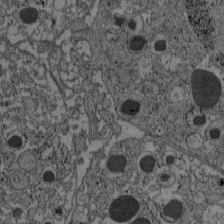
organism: C57BL Mouse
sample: Pancreatic islet